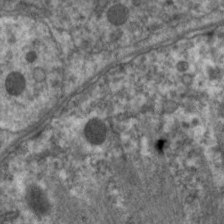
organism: C. elegans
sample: Pharynx